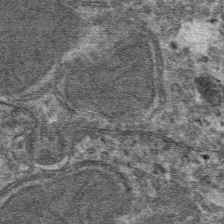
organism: Mouse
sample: Mouse hepatocytes